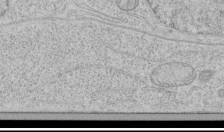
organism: Human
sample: Mitochondria in HCT116 cells